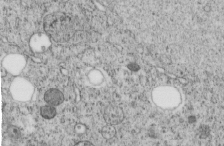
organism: C. elegans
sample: C. elegans embryo early stage